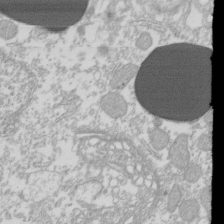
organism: Xenopus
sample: Cilia; centrioles in frog embryo cells